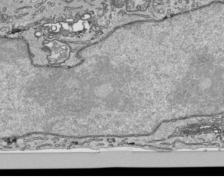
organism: Human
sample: Mitochondria in HCT116 cells